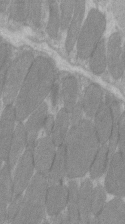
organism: C57BL Mouse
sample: Tibialis anterior muscle cell